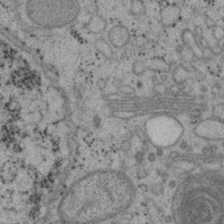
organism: Human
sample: HeLa cells